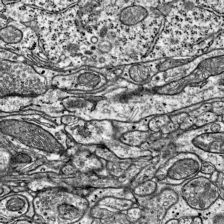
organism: Mouse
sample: Visual Cortex